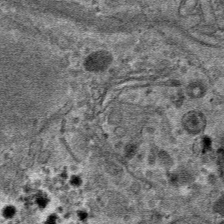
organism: Mouse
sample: Mouse hepatocytes